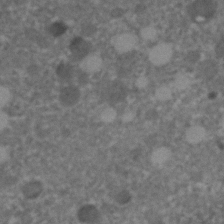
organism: C. elegans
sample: C. elegans embryo